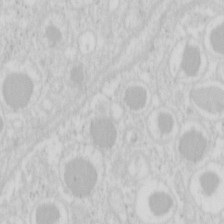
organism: Mouse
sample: Pancreas